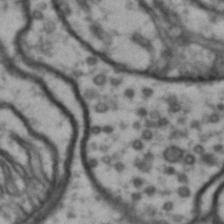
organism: Drosophila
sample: Brain